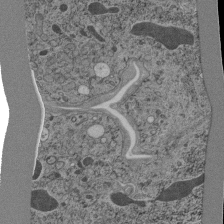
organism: C. elegans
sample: C. elegans pharynx